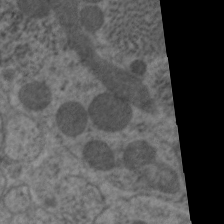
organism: C. elegans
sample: Pharynx